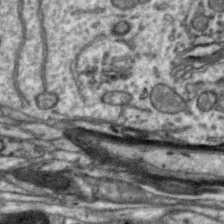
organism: Zebra finch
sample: Brain